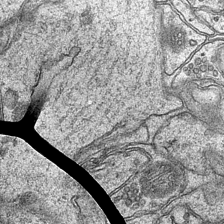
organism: Mouse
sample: CA1 Hippocampus